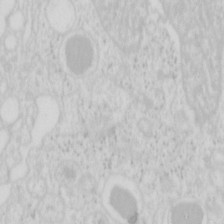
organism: Mouse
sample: Pancreas